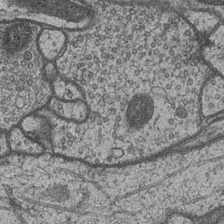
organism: Drosophila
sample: Optic medulla